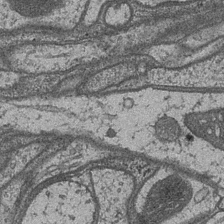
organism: Drosophila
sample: Optic medulla